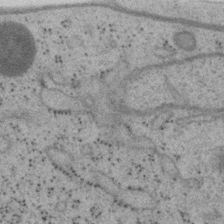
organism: Human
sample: HeLa cells